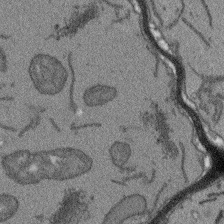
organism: Arabidopsis thaliana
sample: Root tip